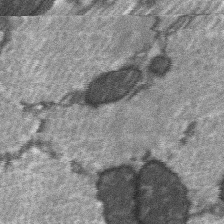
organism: C57BL Mouse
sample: Soleus